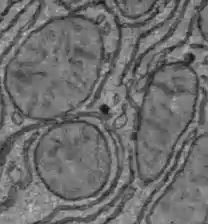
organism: C57BL Mouse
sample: Liver